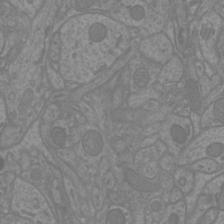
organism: Mouse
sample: Cortical neurons